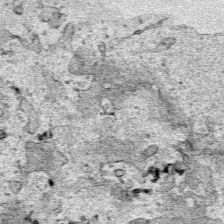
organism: Human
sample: Mitochondria in HCT116 cells